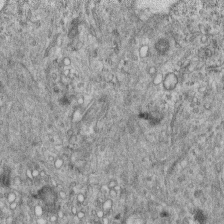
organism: Mouse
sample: Centriole in ependymal cells